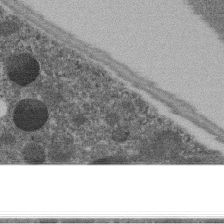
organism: C. elegans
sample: C. elegans embryo early stage